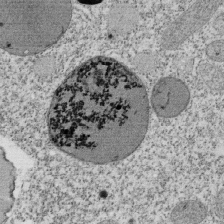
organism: Tetrahymena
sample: Cilia in tetrahymena